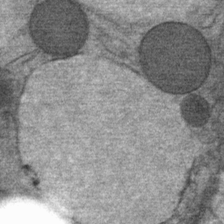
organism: Mouse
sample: Mouse Salivary gland